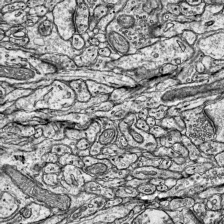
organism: Mouse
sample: Visual Cortex